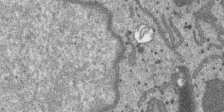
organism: Human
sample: Lung epithelial cells infected with SARS-CoV-2